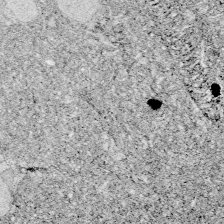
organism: Zebrafish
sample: Whole-Brain